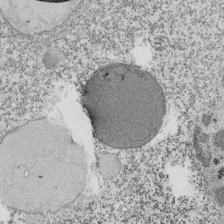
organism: Tetrahymena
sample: Cilia in tetrahymena